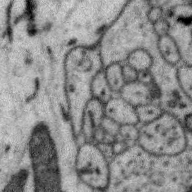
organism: Zebra finch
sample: Brain